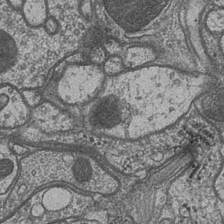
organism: Drosophila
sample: Optic medulla